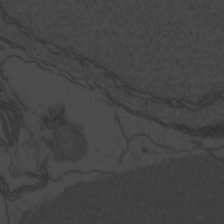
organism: Zebrafish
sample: Macrophage infected with Toxoplasma gondii